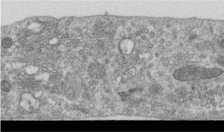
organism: Human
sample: Centriole in RPE cells